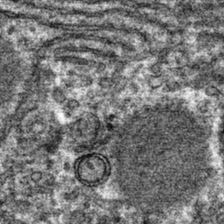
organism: Mouse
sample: Mouse hepatocytes